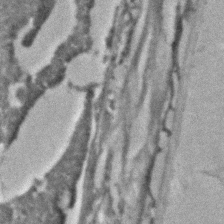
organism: C. elegans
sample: C. elegans embryo